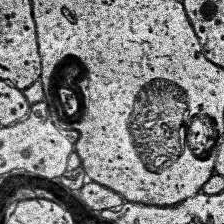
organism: Human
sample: Temporal Lobe